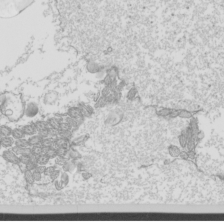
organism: Mouse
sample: Cilia; mouse epididymis